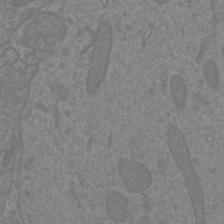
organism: Mouse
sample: Cortical neurons